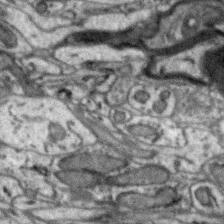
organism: Zebra finch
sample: Brain